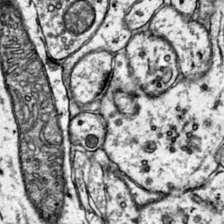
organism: Mouse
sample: Primary visual cortex